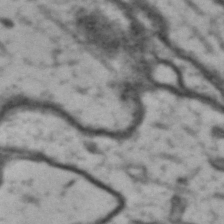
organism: Drosophila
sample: Brain